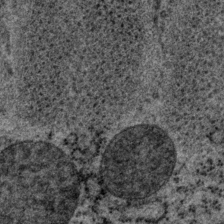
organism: P. pacificus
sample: Pharynx